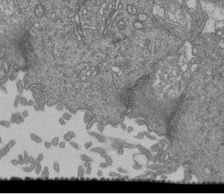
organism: Human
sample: Retinal organoid Rod and Cone cells